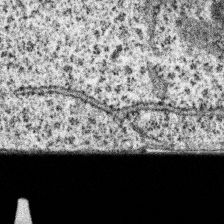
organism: Human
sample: HeLa cells